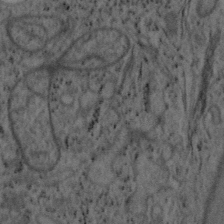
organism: Human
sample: HeLa cells